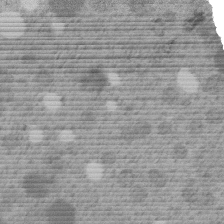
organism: C. elegans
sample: C. elegans embryo early stage